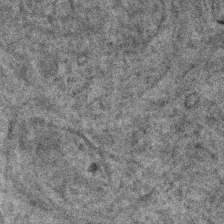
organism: Human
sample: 1205lu cells